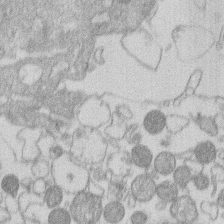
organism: Human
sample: Macrophage cells